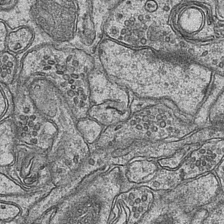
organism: Mouse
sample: CA1 Hippocampus